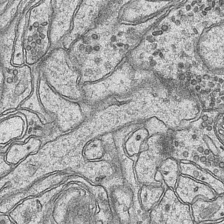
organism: Mouse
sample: CA1 Hippocampus